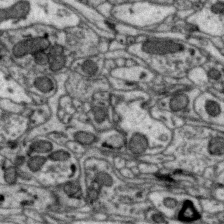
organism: Zebra finch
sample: Brain